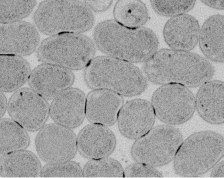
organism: E. coli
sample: Bacterial nucleoid